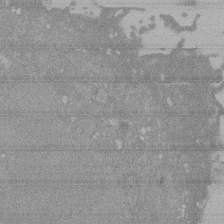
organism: Mouse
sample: ED-1 cell nuclei; centrioles